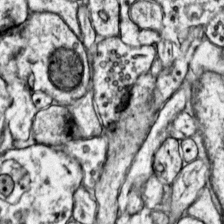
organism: Mouse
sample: Primary visual cortex